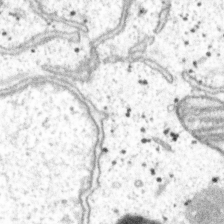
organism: Human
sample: HeLa cells